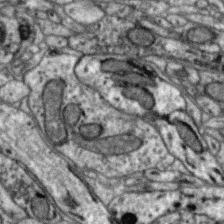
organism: Zebra finch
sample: Brain